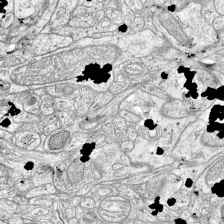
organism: Mouse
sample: Visual Cortex